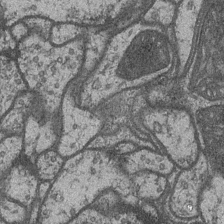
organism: Drosophila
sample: Optic medulla